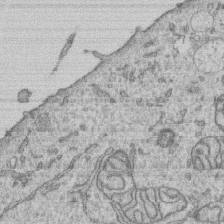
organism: Human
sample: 1205lu cells